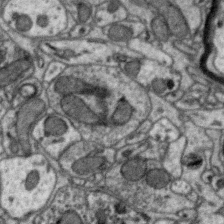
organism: Zebra finch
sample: Brain